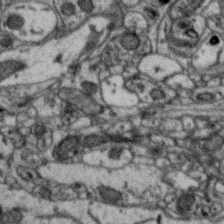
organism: Zebra finch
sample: Brain